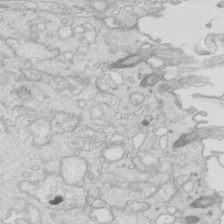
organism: Mouse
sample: Multiciliated cells